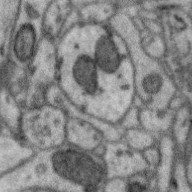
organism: Zebra finch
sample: Brain